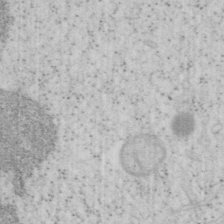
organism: Human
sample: HeLa cells